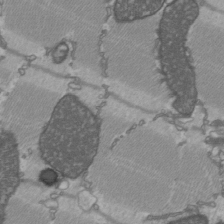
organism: C57BL Mouse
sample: Heart